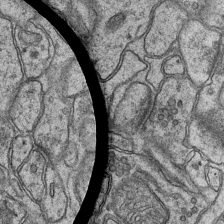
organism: Mouse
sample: CA1 Hippocampus